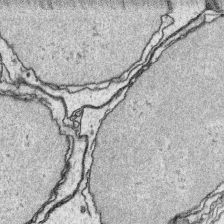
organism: Platynereis dumerilii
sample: Parapodia